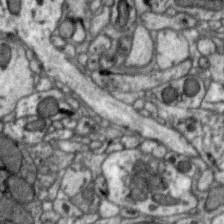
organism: Zebra finch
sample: Brain